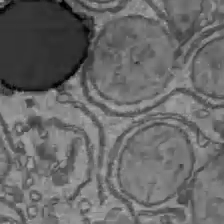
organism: C57BL Mouse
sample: Liver